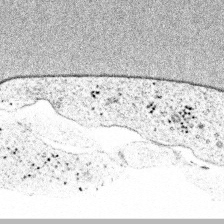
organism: Human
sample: HeLa cells